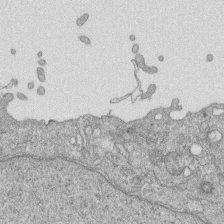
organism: Human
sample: HeLa cell HIV synapse